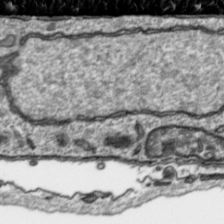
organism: Toxoplasma gondii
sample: Parasites in a vacuole inside a host cell